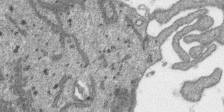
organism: Human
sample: Lung epithelial cells infected with SARS-CoV-2